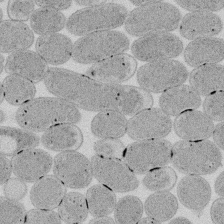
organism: E. coli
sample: Bacterial nucleoid